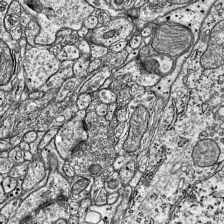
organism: Mouse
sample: Visual Cortex